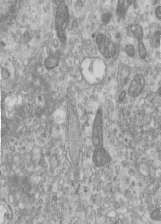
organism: Human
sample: Centriole in RPE cells